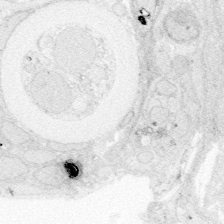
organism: Zebrafish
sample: Whole-Brain